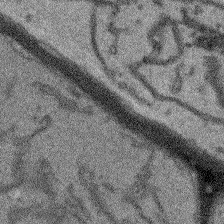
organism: Arabidopsis thaliana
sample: Root tip